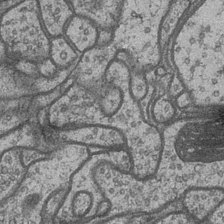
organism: Drosophila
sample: Optic medulla